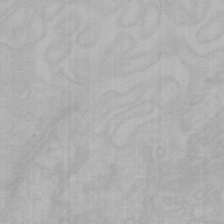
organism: Mouse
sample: Choroid plexus